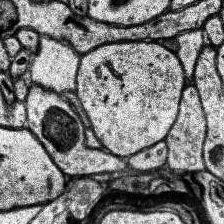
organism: Human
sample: Temporal Lobe